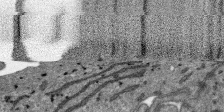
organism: Human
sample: Lung epithelial cells, uninfected (mock) control